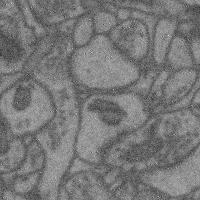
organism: Mouse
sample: Cerebral cortex